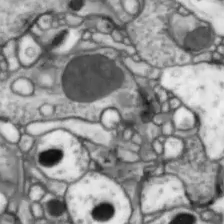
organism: Drosophila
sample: Optic lobe